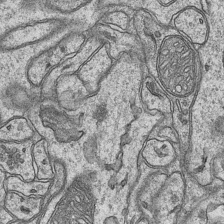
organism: Mouse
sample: CA1 Hippocampus